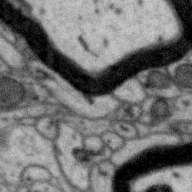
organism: Zebra finch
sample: Brain